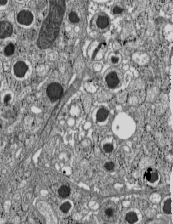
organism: C57BL Mouse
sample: Pancreatic islet